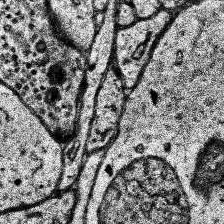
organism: Human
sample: Temporal Lobe